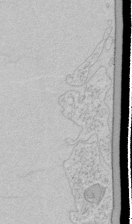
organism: Human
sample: Mitochondria in HCT116 cells